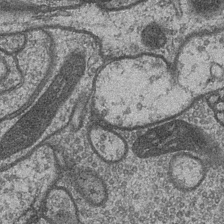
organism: Drosophila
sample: Optic medulla